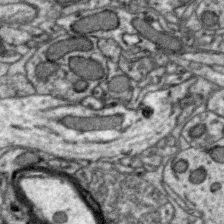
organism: Zebra finch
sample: Brain